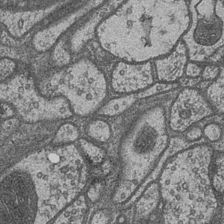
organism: Drosophila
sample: Optic medulla